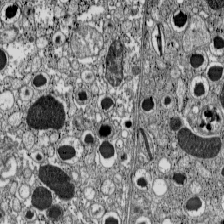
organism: C57BL Mouse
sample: Pancreatic islet